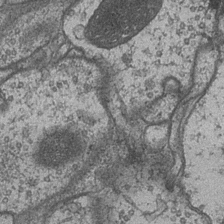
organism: Drosophila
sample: Optic medulla